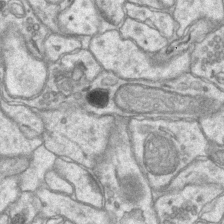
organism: Mouse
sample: CA1 Hippocampus